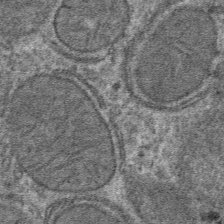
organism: Mouse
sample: Mouse hepatocytes